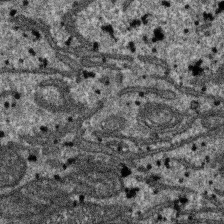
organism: Human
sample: Lung epithelial cells infected with SARS-CoV-2